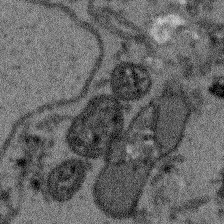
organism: Arabidopsis thaliana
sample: Root tip